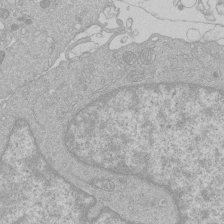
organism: Human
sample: Macrophage cells